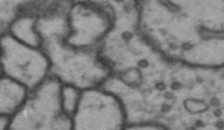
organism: Drosophila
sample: Brain